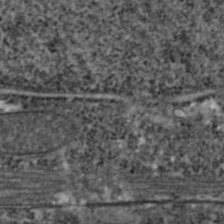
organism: Zebrafish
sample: Zebrafish embryo